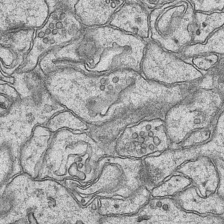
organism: Mouse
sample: CA1 Hippocampus